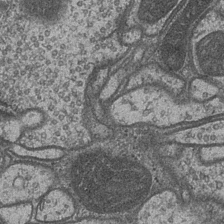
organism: Drosophila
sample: Optic medulla